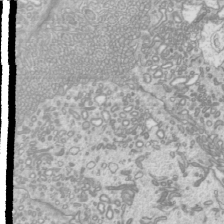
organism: Mouse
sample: Cilia; mouse epididymis